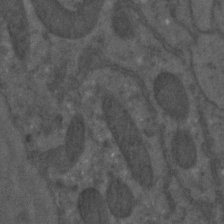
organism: C. elegans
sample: C. elegans embryo